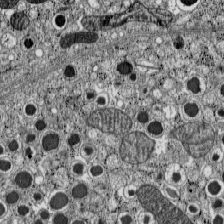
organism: C57BL Mouse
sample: Pancreatic islet